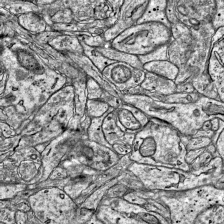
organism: Mouse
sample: Visual Cortex